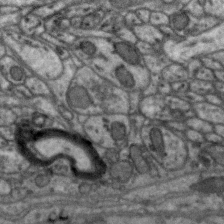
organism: Zebra finch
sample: Brain